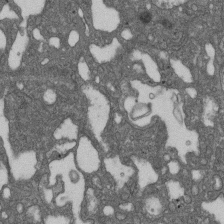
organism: Drosophila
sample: Nephrocyte